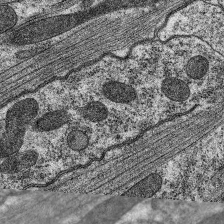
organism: C. elegans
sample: Pharynx